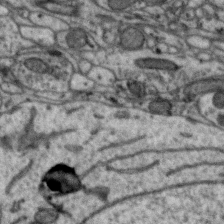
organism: Zebra finch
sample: Brain